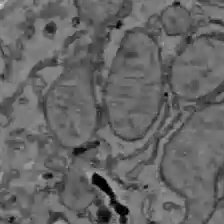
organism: C57BL Mouse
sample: Liver